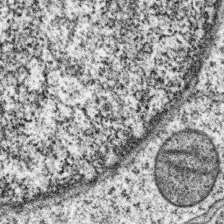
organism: Human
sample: HeLa cells